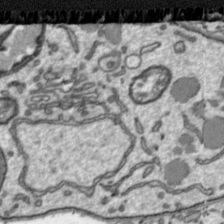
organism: Toxoplasma gondii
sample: Parasites in a vacuole inside a host cell